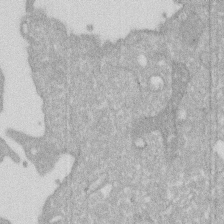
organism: Human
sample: HIV infected U937 cells